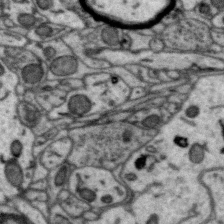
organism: Zebra finch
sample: Brain